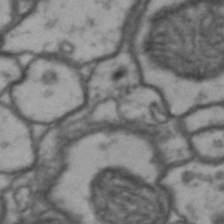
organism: Drosophila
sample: Brain